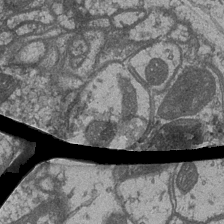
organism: Drosophila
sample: Optic medulla